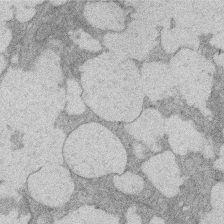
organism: Rat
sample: Salivary granule